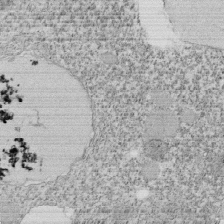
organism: Tetrahymena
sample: Cilia in tetrahymena